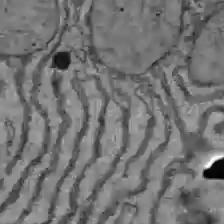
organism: C57BL Mouse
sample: Liver